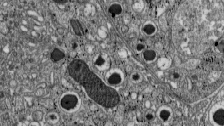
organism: C57BL Mouse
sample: Pancreatic islet